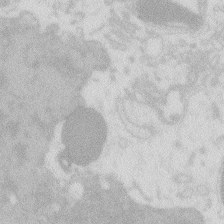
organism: Zebrafish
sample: Macrophage